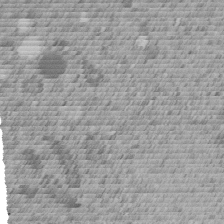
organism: C. elegans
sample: C. elegans embryo early stage